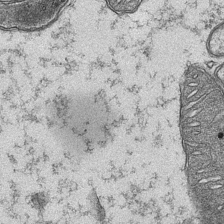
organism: Mouse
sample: CA1 Hippocampus